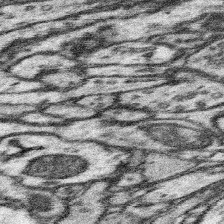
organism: Mouse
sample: Somatosensory cortex neuropil